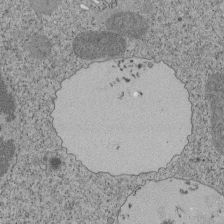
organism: Tetrahymena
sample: Cilia in tetrahymena